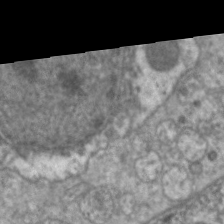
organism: C. elegans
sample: Pharynx